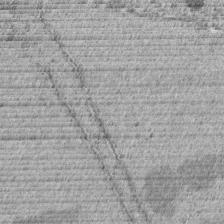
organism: C. elegans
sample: C. elegans embryo early stage